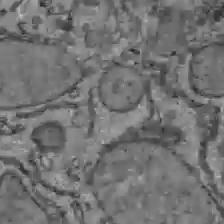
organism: C57BL Mouse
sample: Liver